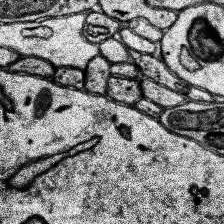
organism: Human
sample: Temporal Lobe